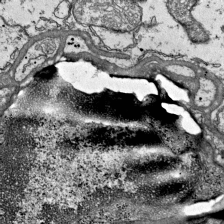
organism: Mouse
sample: Visual Cortex